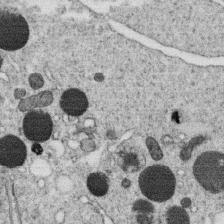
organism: C. elegans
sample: C. elegans oocyte; sperm cells